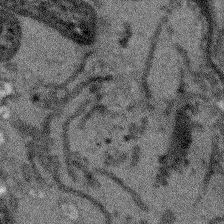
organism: Arabidopsis thaliana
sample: Root tip